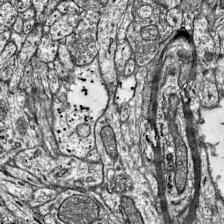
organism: Mouse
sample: Visual Cortex